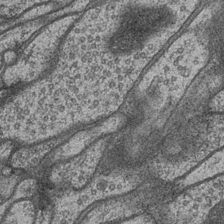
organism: Drosophila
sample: Optic medulla